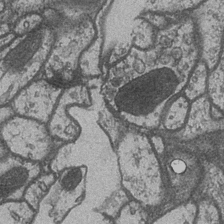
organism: Drosophila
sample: Optic medulla